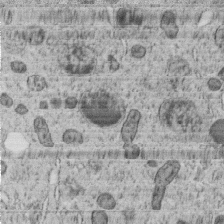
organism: C. elegans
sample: C. elegans embryo early stage